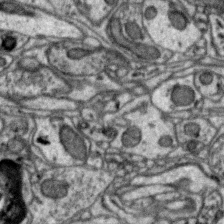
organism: Zebra finch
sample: Brain